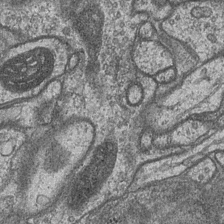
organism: Drosophila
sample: Optic medulla